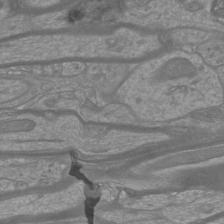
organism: Mouse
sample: Cortical neurons